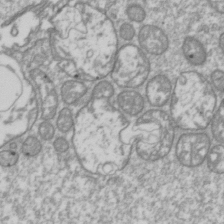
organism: Drosophila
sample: Cell division; meiosis; drosophila spermatocytes